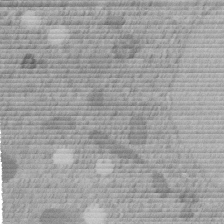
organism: C. elegans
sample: C. elegans embryo early stage